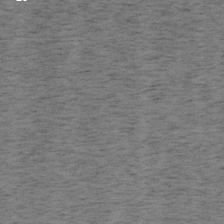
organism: Mouse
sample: OT-I killer T cells with ID8 ovarian cancer cells